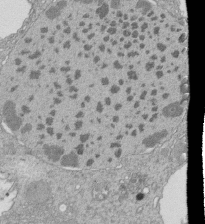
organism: Tetrahymena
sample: Cilia in tetrahymena